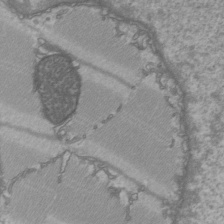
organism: C57BL Mouse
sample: Heart